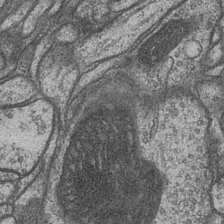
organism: Drosophila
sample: Optic medulla